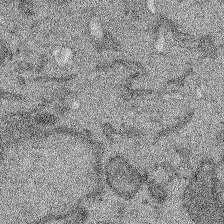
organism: Human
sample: HeLa cells